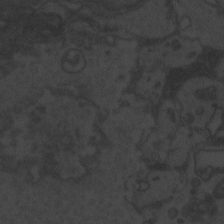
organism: Zebrafish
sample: Macrophage infected with Toxoplasma gondii